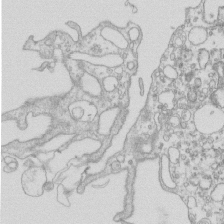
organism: Mouse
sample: Macrophages